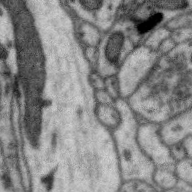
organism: Zebra finch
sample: Brain